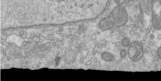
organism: Human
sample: Centriole in RPE cells